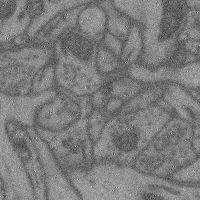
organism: Mouse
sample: Cerebral cortex